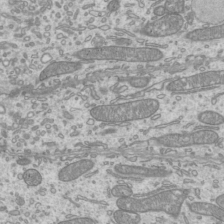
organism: Mouse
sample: Cilia; mouse epididymis